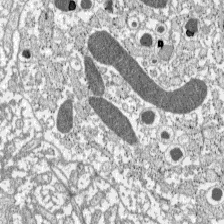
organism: C57BL Mouse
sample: Pancreatic islet